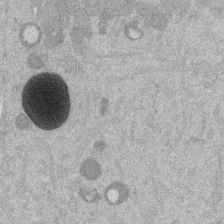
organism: Mouse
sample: Dividing mouse embryo 1 cell stage